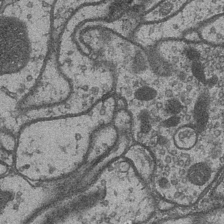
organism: Drosophila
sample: Optic medulla